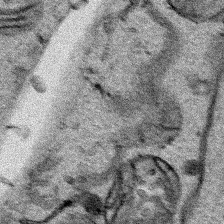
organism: Human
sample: Mitochondria in HCT116 cells